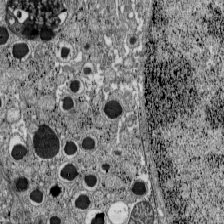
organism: C57BL Mouse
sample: Pancreatic islet